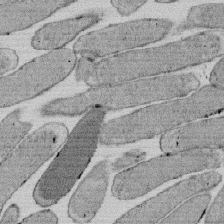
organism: E. coli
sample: Bacterial nucleoid